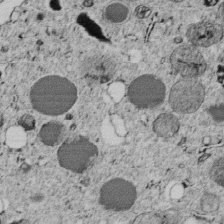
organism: C. elegans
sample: C. elegans embryo early stage